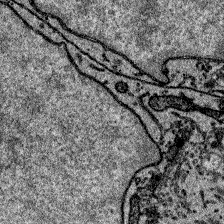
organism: Zebrafish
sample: Larval olfactory bulb